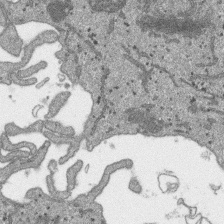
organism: Human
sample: Lung epithelial cells infected with SARS-CoV-2